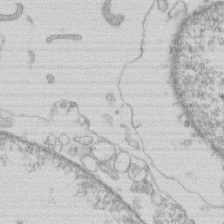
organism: Human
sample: Macrophage cells